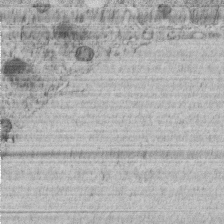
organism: C. elegans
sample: C. elegans embryo early stage